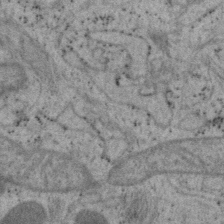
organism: Human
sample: HeLa cells